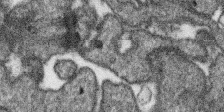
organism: Human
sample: Lung epithelial cells infected with SARS-CoV-2